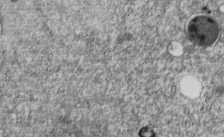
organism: C. elegans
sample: C. elegans embryo early stage